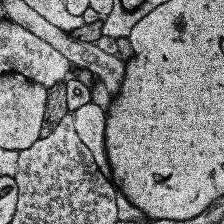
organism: Human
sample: Temporal Lobe